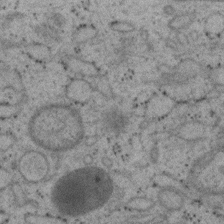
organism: Human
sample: HeLa cells